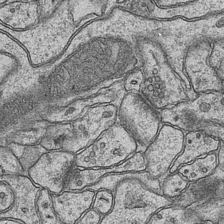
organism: Mouse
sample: CA1 Hippocampus